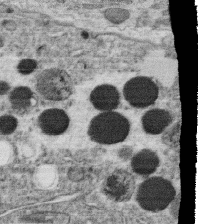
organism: C. elegans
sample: C. elegans oocyte; sperm cells